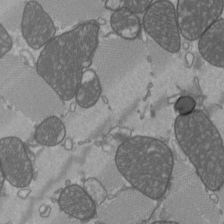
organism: C57BL Mouse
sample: Heart